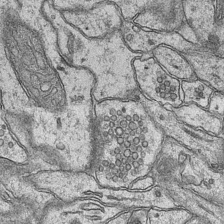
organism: Mouse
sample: CA1 Hippocampus